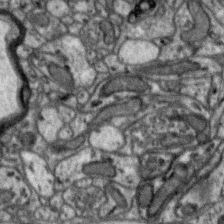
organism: Zebra finch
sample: Brain